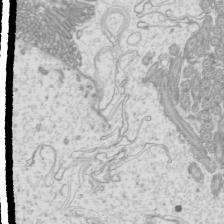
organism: Mouse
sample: Cilia; mouse epididymis